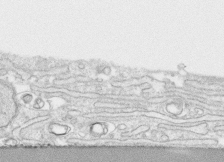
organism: Human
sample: CRL-1474